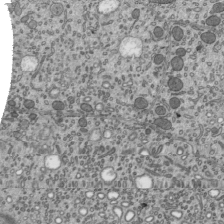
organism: Mouse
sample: Mouse epididymis efferent ductule cilia